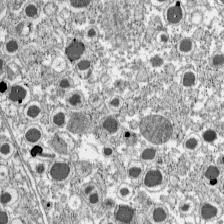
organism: C57BL Mouse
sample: Pancreatic islet